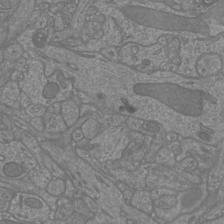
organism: Mouse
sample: Cortical neurons